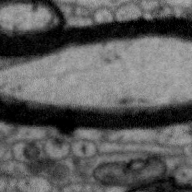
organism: Zebra finch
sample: Brain